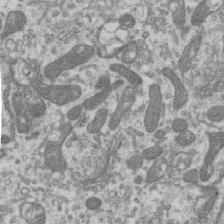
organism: Human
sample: Centriole in RPE cells